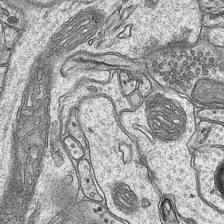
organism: Mouse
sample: CA1 Hippocampus